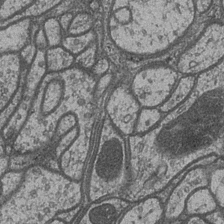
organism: Drosophila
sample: Optic medulla